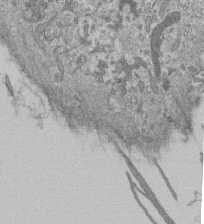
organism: Mouse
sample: ED-1 cell nuclei; centrioles